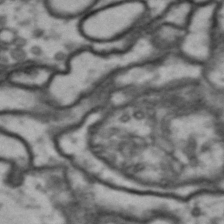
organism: Drosophila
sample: Brain